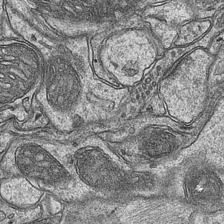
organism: Mouse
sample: CA1 Hippocampus